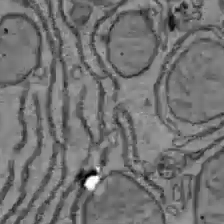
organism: C57BL Mouse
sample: Liver